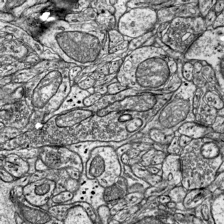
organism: Mouse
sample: Visual Cortex